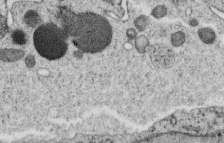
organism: C. elegans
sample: C. elegans oocyte; sperm cells